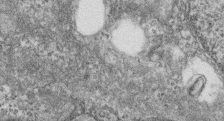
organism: Zebrafish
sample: Cilia; retinal pigment epithelium